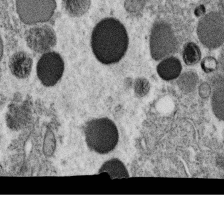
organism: C. elegans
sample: C. elegans oocyte; sperm cells